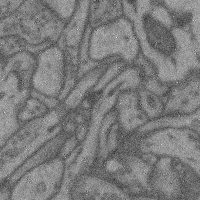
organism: Mouse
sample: Cerebral cortex